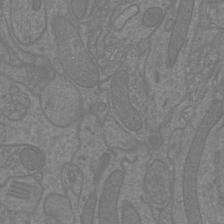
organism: Mouse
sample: Cortical neurons